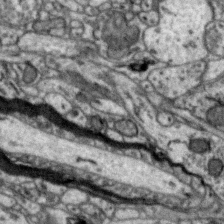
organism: Zebra finch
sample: Brain